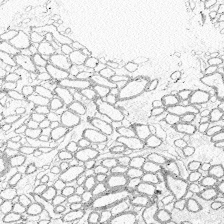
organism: Zebrafish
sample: Whole-Brain